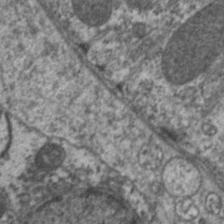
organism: C. elegans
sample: Pharynx